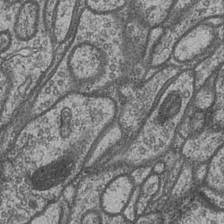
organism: Drosophila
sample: Optic medulla